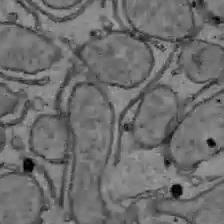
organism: C57BL Mouse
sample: Liver